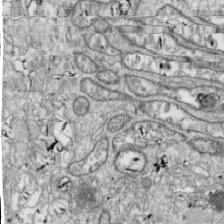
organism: Drosophila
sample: Cell division; meiosis; drosophila spermatocytes